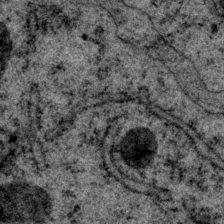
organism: P. pacificus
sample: Pharynx